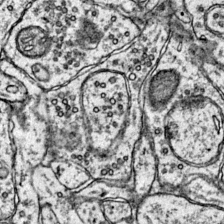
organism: Mouse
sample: Primary visual cortex